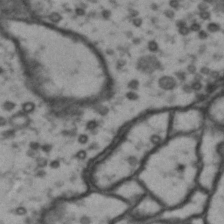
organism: Drosophila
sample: Brain